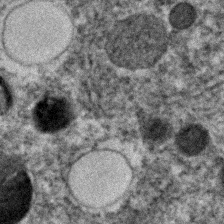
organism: C. elegans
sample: C. elegans embryo